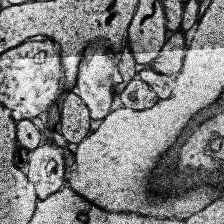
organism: Human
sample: Temporal Lobe